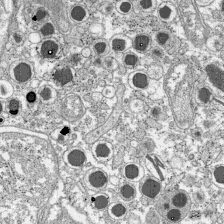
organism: C57BL Mouse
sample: Pancreatic islet